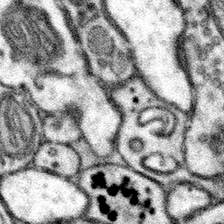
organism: Mouse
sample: Somatosensory cortex neuropil